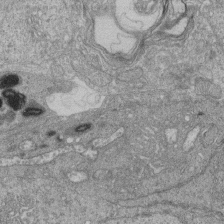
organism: Human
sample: Retinal organoid Rod and Cone cells